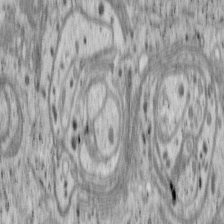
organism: Human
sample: HeLa cells